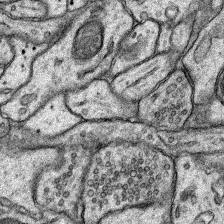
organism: Rat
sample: Hippocampus